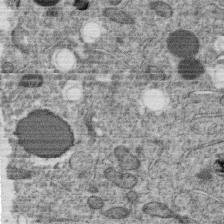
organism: C. elegans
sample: C. elegans oocyte; sperm cells